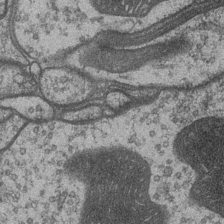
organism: Drosophila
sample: Optic medulla